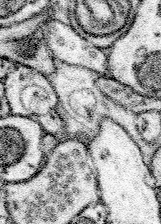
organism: Mouse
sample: Somatosensory cortex neuropil